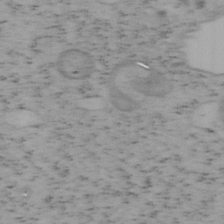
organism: Mouse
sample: OT-I killer T cells with ID8 ovarian cancer cells